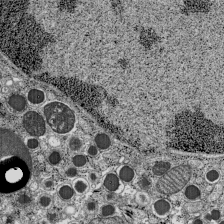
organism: C57BL Mouse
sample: Pancreatic islet